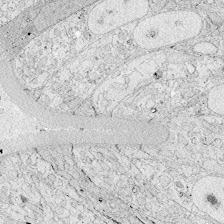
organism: Zebrafish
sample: Whole-Brain